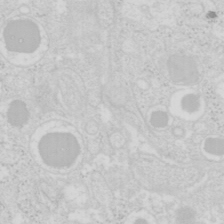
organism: Mouse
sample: Pancreas